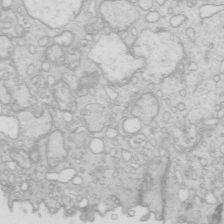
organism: Mouse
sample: Multiciliated cells